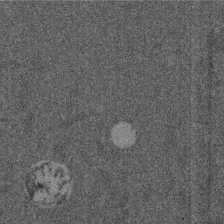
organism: Mouse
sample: Dividing mouse embryo 1 cell stage